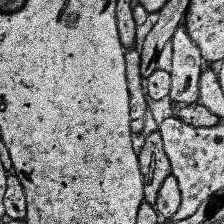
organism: Human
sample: Temporal Lobe